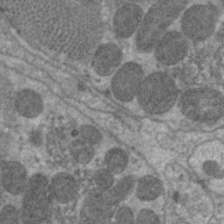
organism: C. elegans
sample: Pharynx